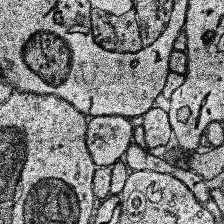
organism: Human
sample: Temporal Lobe